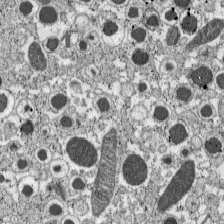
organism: C57BL Mouse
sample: Pancreatic islet